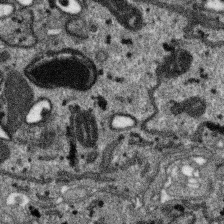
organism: Human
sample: Lung epithelial cells infected with SARS-CoV-2